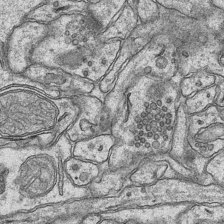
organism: Mouse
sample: CA1 Hippocampus